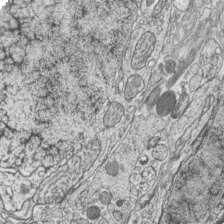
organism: Zebrafish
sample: synaptic ribbons in rod cells and cone cells